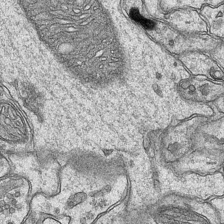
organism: Mouse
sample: CA1 Hippocampus